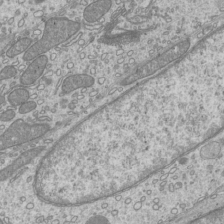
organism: Mouse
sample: Cilia; mouse epididymis